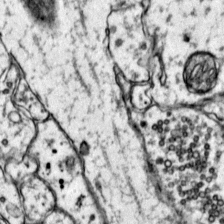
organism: Mouse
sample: Primary visual cortex